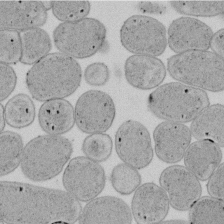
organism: E. coli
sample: Bacterial nucleoid